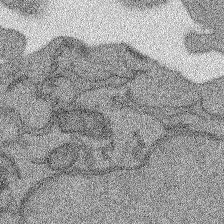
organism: Human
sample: HeLa cells